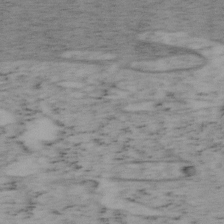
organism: Mouse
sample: OT-I killer T cells with ID8 ovarian cancer cells